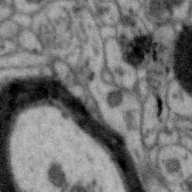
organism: Zebra finch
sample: Brain